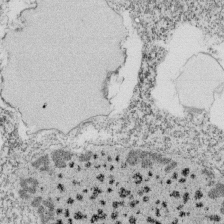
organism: Tetrahymena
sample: Cilia in tetrahymena